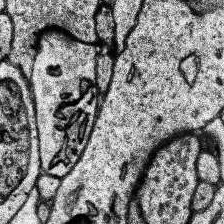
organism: Human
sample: Temporal Lobe